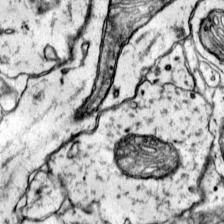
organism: Mouse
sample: Primary visual cortex